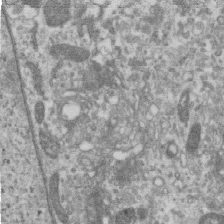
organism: Human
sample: Centriole in RPE cells